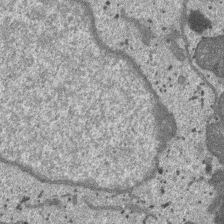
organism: Human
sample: Lung epithelial cells infected with SARS-CoV-2